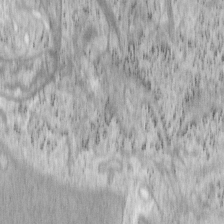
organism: Human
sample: HeLa cells